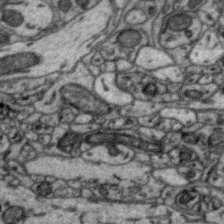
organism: Zebra finch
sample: Brain